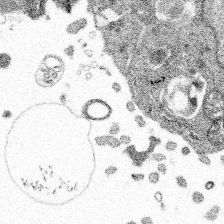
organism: Spongilla lacustris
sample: Multiple